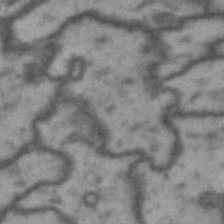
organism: Drosophila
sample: Brain